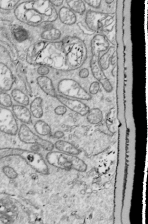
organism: Drosophila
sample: Cell division; meiosis; drosophila spermatocytes